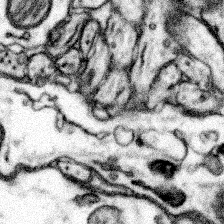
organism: Mouse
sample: Somatosensory cortex neuropil